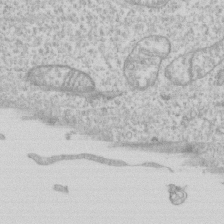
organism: Human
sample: CRL-1474